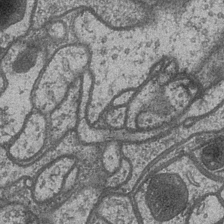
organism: Drosophila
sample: Optic medulla